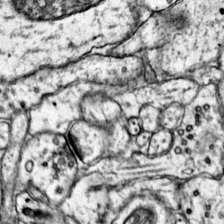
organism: Mouse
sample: Primary visual cortex